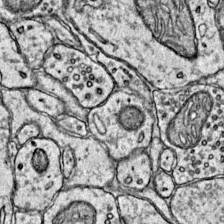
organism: Mouse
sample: Primary visual cortex